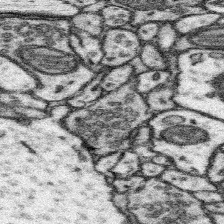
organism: Mouse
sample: Somatosensory cortex neuropil